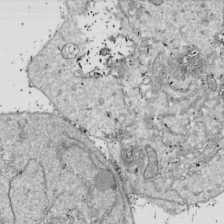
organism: Drosophila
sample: Cell division; meiosis; drosophila spermatocytes